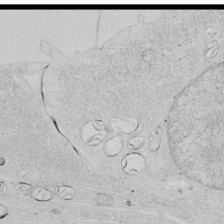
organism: Human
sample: Mitochondria in HCT116 cells